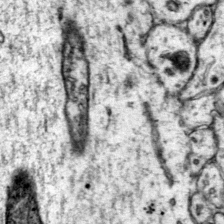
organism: Mouse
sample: Primary visual cortex